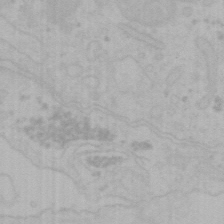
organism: Mouse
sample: Choroid plexus